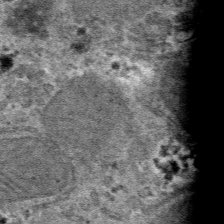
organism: Mouse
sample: Mouse hepatocytes